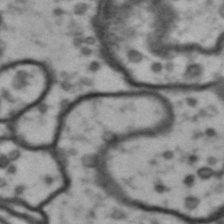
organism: Drosophila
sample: Brain